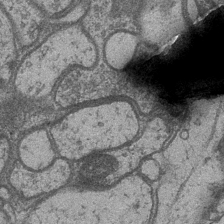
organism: Drosophila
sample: Optic medulla